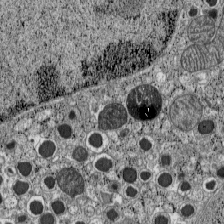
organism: C57BL Mouse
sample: Pancreatic islet